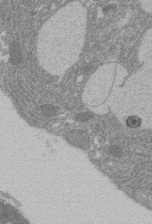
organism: Rat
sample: Salivary granule